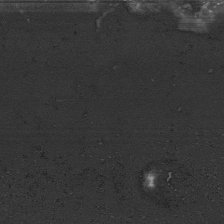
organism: Human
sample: Mitochondria in HCT116 cells